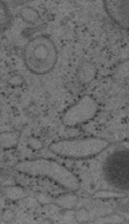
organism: Human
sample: HeLa cells